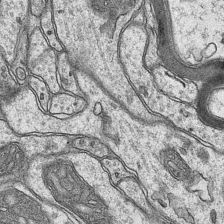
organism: Mouse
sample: CA1 Hippocampus